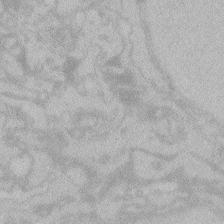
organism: Zebrafish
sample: Macrophage infected with Toxoplasma gondii